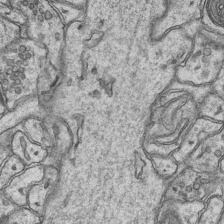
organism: Mouse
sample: CA1 Hippocampus